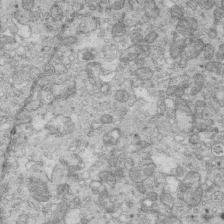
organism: Mouse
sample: Multiciliated cells